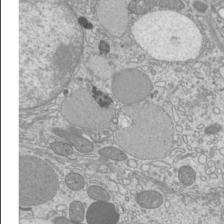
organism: Mouse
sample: Cilia; mouse epididymis